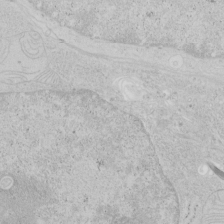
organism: Human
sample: Mitochondria in HCT116 cells